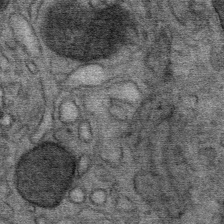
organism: Mouse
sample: Mouse Salivary gland